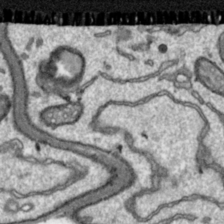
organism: Toxoplasma gondii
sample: Parasites in a vacuole inside a host cell